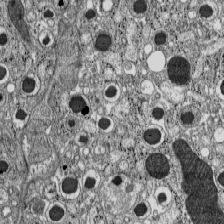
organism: C57BL Mouse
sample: Pancreatic islet